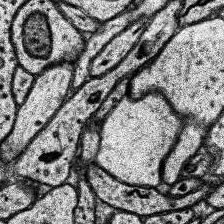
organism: Human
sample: Temporal Lobe